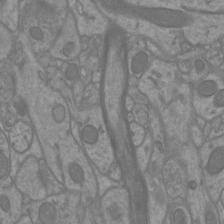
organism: Mouse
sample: Cortical neurons